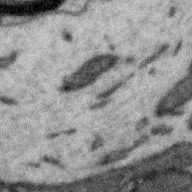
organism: Zebra finch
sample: Brain